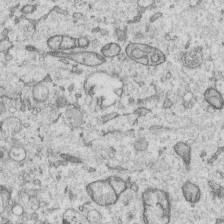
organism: Human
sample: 1205lu cells